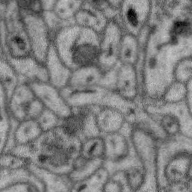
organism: Zebra finch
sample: Brain